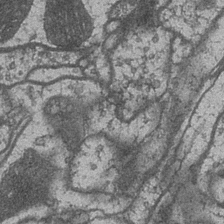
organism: Drosophila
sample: Optic medulla